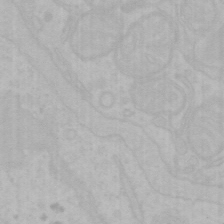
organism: Mouse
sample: Choroid plexus